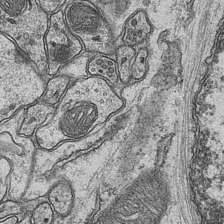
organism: Mouse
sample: CA1 Hippocampus